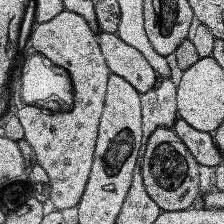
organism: Human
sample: Temporal Lobe